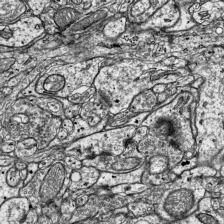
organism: Mouse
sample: Visual Cortex